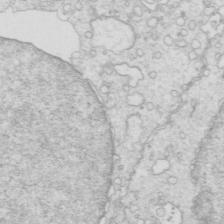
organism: Mouse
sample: Multiciliated cells